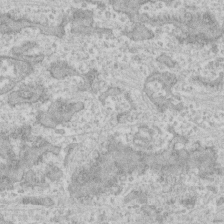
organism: Human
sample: CRL-1474